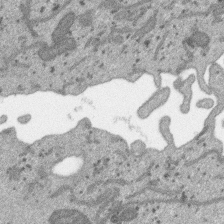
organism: Human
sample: Lung epithelial cells infected with SARS-CoV-2